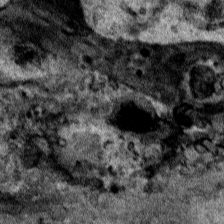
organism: Human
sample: Mitochondria in HCT116 cells